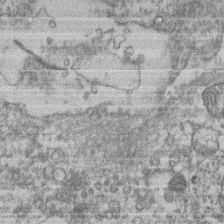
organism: Mouse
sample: T cell stromal cell synapse